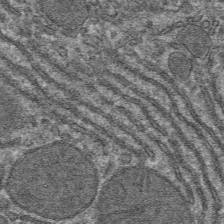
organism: Mouse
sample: Mouse hepatocytes